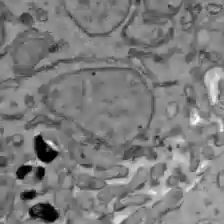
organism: C57BL Mouse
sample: Liver